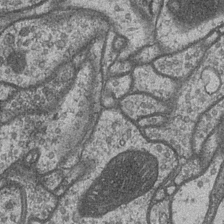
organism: Drosophila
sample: Optic medulla